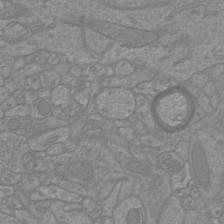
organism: Mouse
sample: Cortical neurons